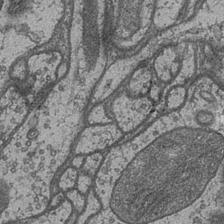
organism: Drosophila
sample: Optic medulla